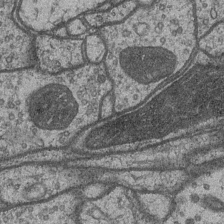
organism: Drosophila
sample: Optic medulla